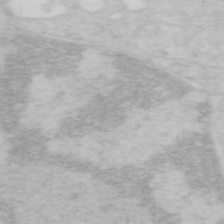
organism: Mouse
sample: OT-I killer T cells with ID8 ovarian cancer cells